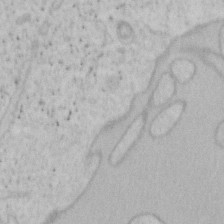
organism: Human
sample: HeLa cells